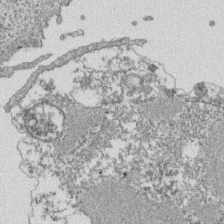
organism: Human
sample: HeLa cell HIV synapse